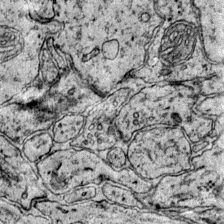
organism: Mouse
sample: Primary visual cortex